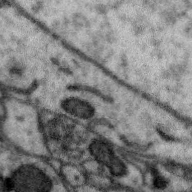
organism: Zebra finch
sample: Brain